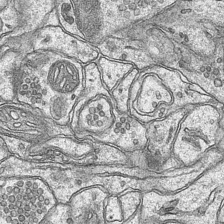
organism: Mouse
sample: CA1 Hippocampus